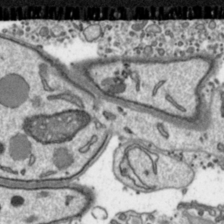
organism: Toxoplasma gondii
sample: Parasites in a vacuole inside a host cell